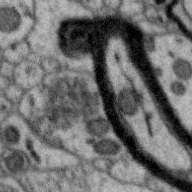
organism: Zebra finch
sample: Brain